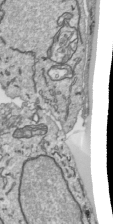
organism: Human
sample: Mitochondria in HCT116 cells